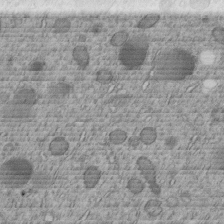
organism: C. elegans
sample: C. elegans embryo early stage